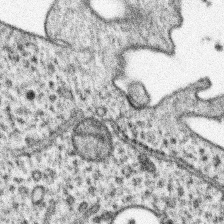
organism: Human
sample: HeLa cells